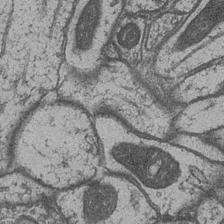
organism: Drosophila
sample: Optic medulla